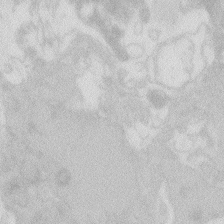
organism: Zebrafish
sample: Macrophage